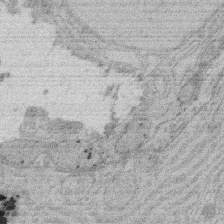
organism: Rat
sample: Salivary granule